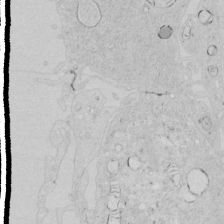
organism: Human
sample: Mitochondria in HCT116 cells